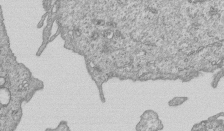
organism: Human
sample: MDA-MB-231 cells